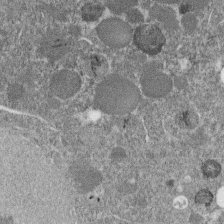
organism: C. elegans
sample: C. elegans embryo early stage